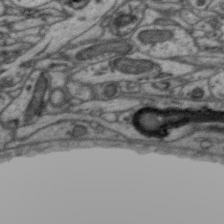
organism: Zebra finch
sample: Brain